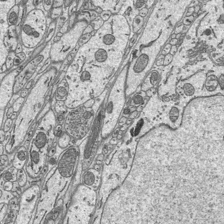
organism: Mouse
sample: Suprachiasmatic nucleus